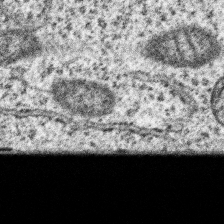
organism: Human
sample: HeLa cells